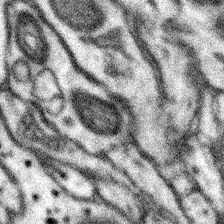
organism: Mouse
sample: Somatosensory cortex neuropil